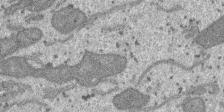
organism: Human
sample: Lung epithelial cells infected with SARS-CoV-2